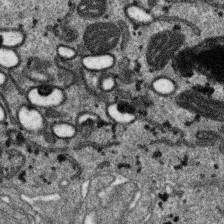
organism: Human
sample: Lung epithelial cells infected with SARS-CoV-2